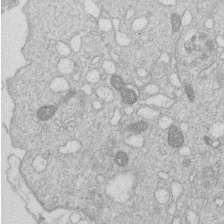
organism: Human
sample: Macrophage cells